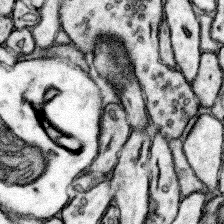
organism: Mouse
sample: Somatosensory cortex neuropil